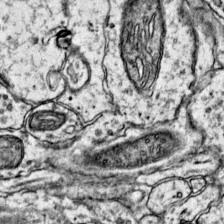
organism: Mouse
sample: Primary visual cortex